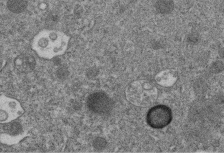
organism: C. elegans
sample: C. elegans embryo early stage